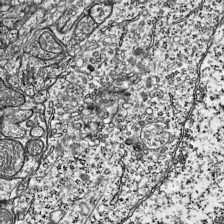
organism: Mouse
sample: Visual Cortex